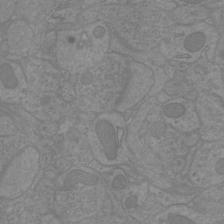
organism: Mouse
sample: Cortical neurons